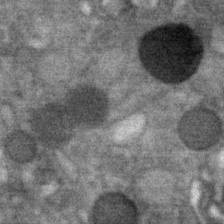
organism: Mouse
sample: Mouse Salivary gland